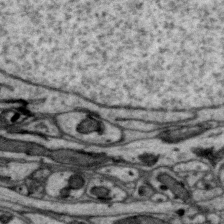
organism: Zebra finch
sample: Brain